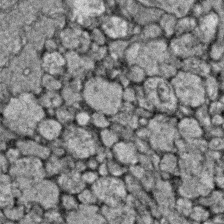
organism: Zebrafish